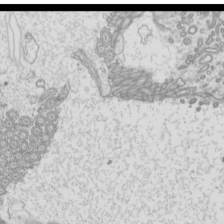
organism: Mouse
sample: Cilia; mouse epididymis